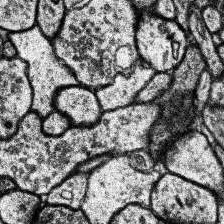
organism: Human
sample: Temporal Lobe